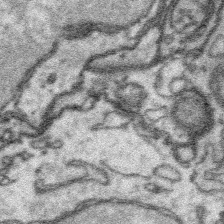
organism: Platynereis dumerilii